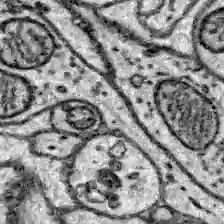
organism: Zebrafish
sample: Brain